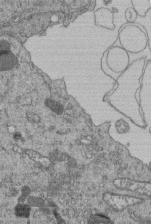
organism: Human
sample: Retinal organoid Rod and Cone cells